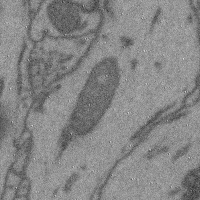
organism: Mouse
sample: Cerebral cortex